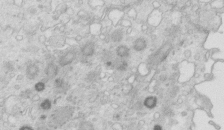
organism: Mouse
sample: Multiciliated cells